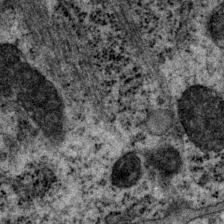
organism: P. pacificus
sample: Pharynx